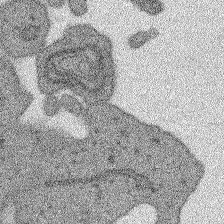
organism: Human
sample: HeLa cells